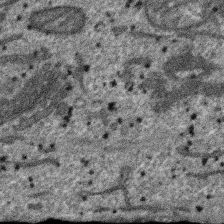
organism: Human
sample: Lung epithelial cells infected with SARS-CoV-2